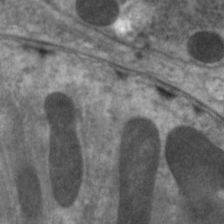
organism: C. elegans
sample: Pharynx